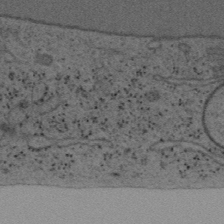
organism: Human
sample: HeLa cells